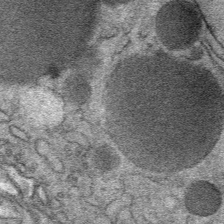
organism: Mouse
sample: Mouse Salivary gland